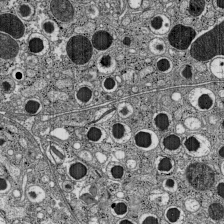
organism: C57BL Mouse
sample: Pancreatic islet